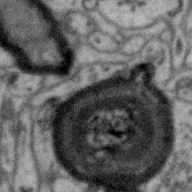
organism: Zebra finch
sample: Brain